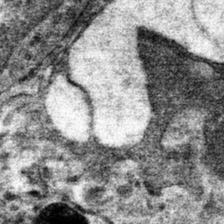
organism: Mouse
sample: Mouse hepatocytes